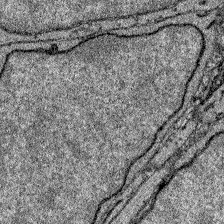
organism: Zebrafish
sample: Larval olfactory bulb